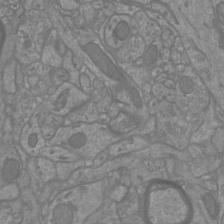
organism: Mouse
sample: Cortical neurons